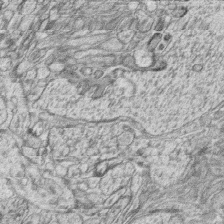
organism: Zebrafish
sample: synaptic ribbons in rod cells and cone cells